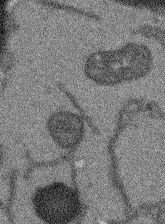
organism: Arabidopsis thaliana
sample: Root tip